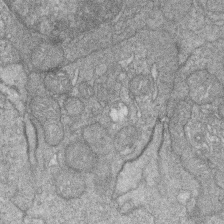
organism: Zebrafish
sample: Cilia; retinal pigment epithelium